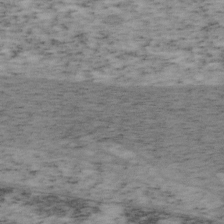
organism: Mouse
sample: OT-I killer T cells with ID8 ovarian cancer cells